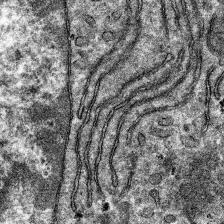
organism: Mouse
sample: Mouse hepatocytes